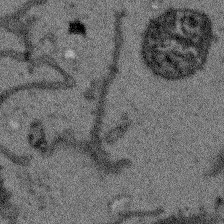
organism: Arabidopsis thaliana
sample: Root tip